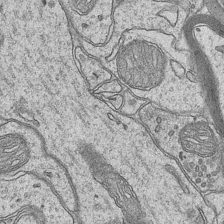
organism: Mouse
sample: CA1 Hippocampus